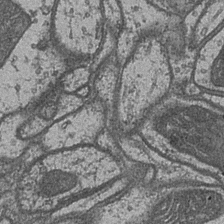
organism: Drosophila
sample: Optic medulla